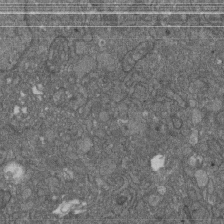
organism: Drosophila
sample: Nephrocyte